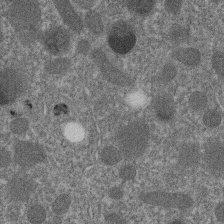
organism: C. elegans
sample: C. elegans embryo early stage